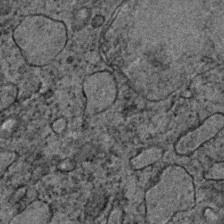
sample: Trachea